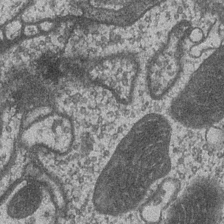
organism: Drosophila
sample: Optic medulla